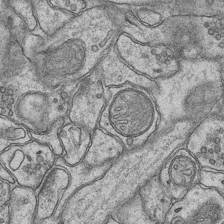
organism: Mouse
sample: CA1 Hippocampus